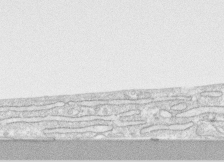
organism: Human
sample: CRL-1474